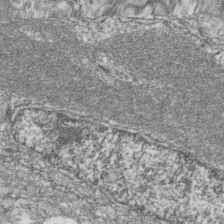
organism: Zebrafish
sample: Cilia; retinal pigment epithelium